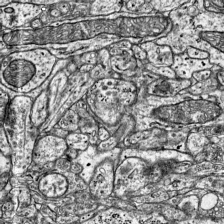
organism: Mouse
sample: Visual Cortex